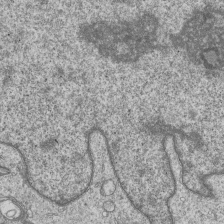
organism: Human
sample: MDA-MB-231 cells